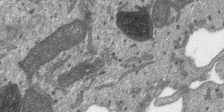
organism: Human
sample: Lung epithelial cells infected with SARS-CoV-2